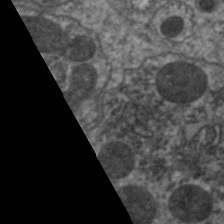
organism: C. elegans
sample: Pharynx